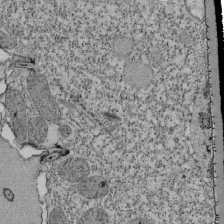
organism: Tetrahymena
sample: Cilia in tetrahymena